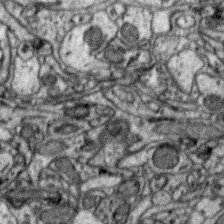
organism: Zebra finch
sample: Brain